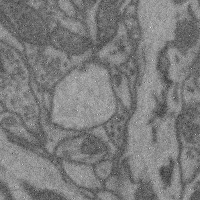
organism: Mouse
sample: Cerebral cortex